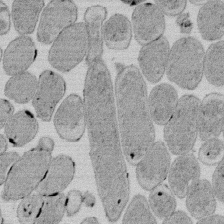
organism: E. coli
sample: Bacterial nucleoid